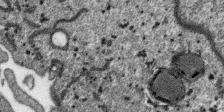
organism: Human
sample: Lung epithelial cells infected with SARS-CoV-2